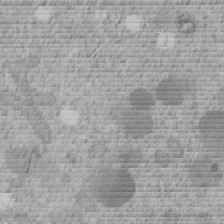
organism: C. elegans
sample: C. elegans embryo early stage